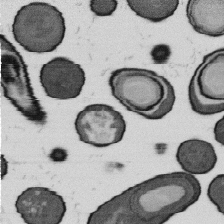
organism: B. subtilis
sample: Bacterial spore